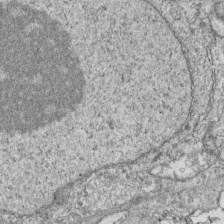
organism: Human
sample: HeLa cell HIV synapse